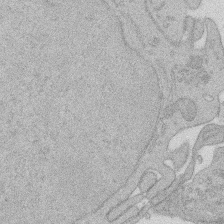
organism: Rat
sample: Salivary granule